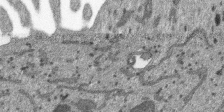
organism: Human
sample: Lung epithelial cells infected with SARS-CoV-2